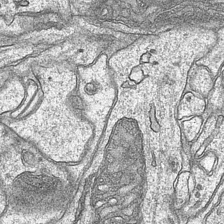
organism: Mouse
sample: CA1 Hippocampus